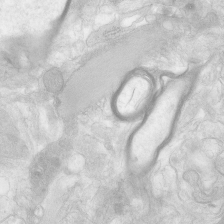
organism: Human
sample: Neocortex